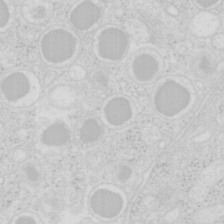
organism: Mouse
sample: Pancreas